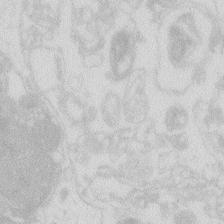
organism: Zebrafish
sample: Macrophage